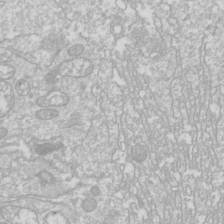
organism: Drosophila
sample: Cell division; meiosis; drosophila spermatocytes